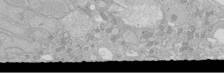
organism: Human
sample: Caco-2 cells